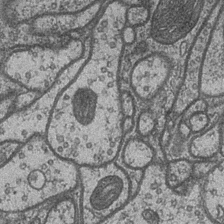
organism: Drosophila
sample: Optic medulla